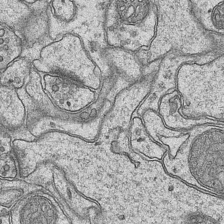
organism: Mouse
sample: CA1 Hippocampus